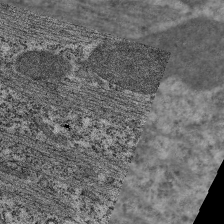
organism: C. elegans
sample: Pharynx